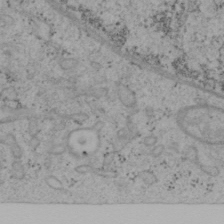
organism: Human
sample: HeLa cells